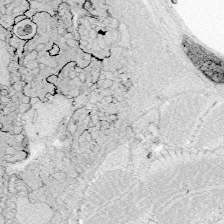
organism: Zebrafish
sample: Whole-Brain